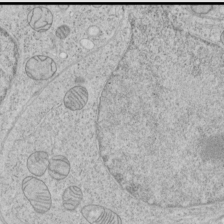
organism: Human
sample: Mitochondria in HCT116 cells